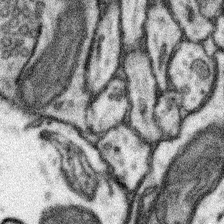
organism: Mouse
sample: Somatosensory cortex neuropil